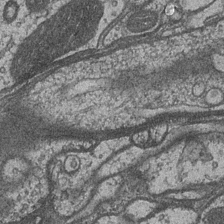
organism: Drosophila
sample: Optic medulla